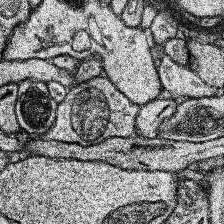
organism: Human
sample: Temporal Lobe